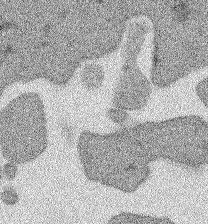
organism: Human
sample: HeLa cells